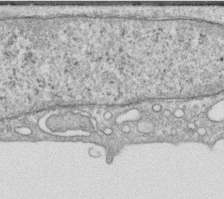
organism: Human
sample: Centriole in RPE cells